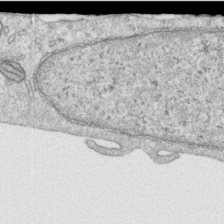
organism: Human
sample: Centriole in RPE cells